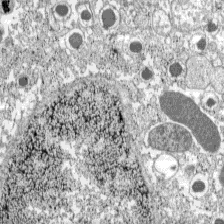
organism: C57BL Mouse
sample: Pancreatic islet